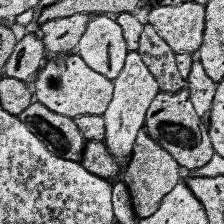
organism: Human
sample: Temporal Lobe